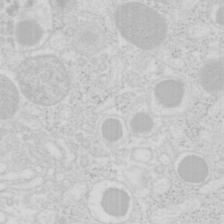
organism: Mouse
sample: Pancreas